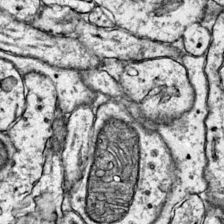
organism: Mouse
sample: Primary visual cortex